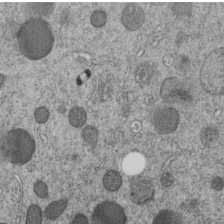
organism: C. elegans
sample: C. elegans embryo early stage